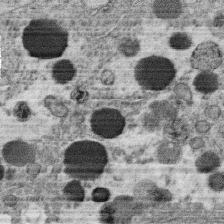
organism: C. elegans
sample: C. elegans oocyte; sperm cells